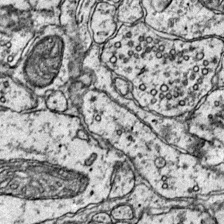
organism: Mouse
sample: Primary visual cortex